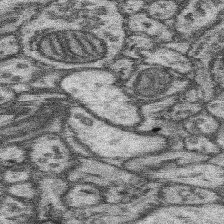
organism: Mouse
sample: Somatosensory cortex neuropil